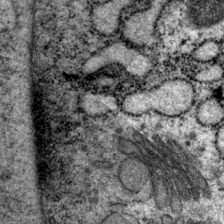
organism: P. pacificus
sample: Pharynx